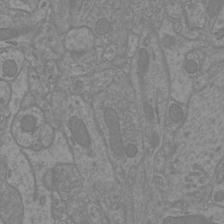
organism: Mouse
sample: Cortical neurons